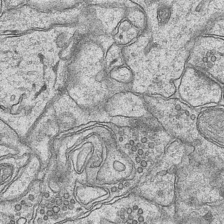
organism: Mouse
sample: CA1 Hippocampus